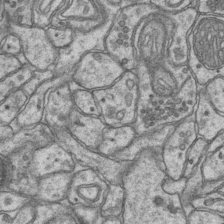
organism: Mouse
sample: CA1 Hippocampus